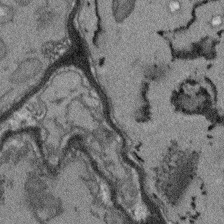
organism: Arabidopsis thaliana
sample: Root tip